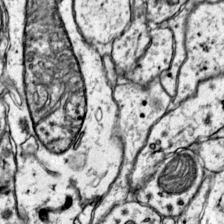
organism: Mouse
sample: Primary visual cortex